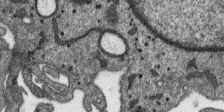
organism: Human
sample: Lung epithelial cells infected with SARS-CoV-2